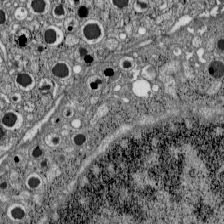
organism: C57BL Mouse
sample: Pancreatic islet